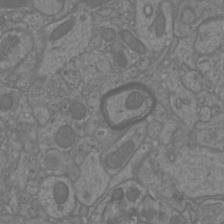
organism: Mouse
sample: Cortical neurons